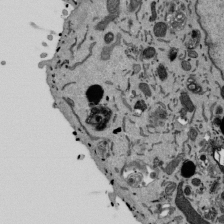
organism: Mouse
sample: ED-1 cell nuclei; centrioles